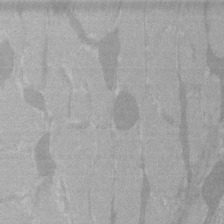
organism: C57BL Mouse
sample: Tibialis anterior muscle cell